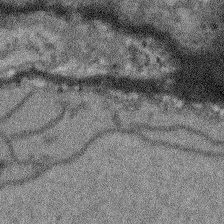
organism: Arabidopsis thaliana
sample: Root tip